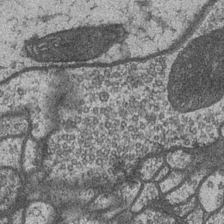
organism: Drosophila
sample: Optic medulla